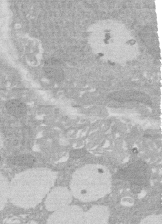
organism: Rat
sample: Salivary granule